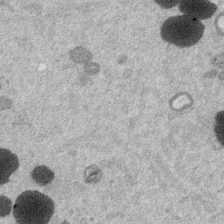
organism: Mouse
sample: Dividing mouse embryo 1 cell stage